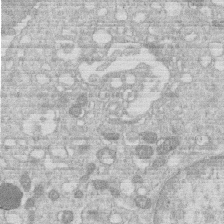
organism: Human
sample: Macrophage cells